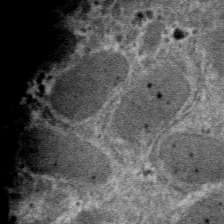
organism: Mouse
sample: Mouse hepatocytes